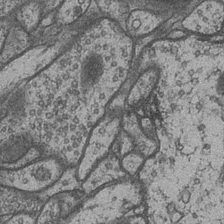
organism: Drosophila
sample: Optic medulla